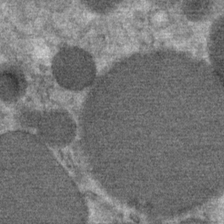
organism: Mouse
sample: Mouse Salivary gland